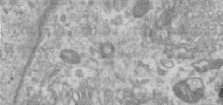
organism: Human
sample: Centriole in RPE cells